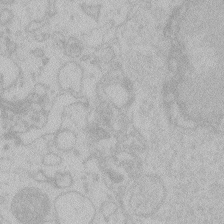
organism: Zebrafish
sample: Macrophage infected with Toxoplasma gondii